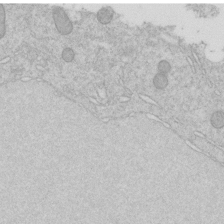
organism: C. elegans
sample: C. elegans embryo early stage